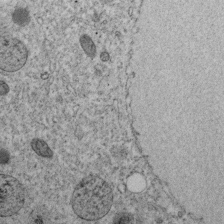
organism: C. elegans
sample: C. elegans embryo early stage